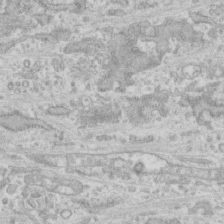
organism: Human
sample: CRL-1474